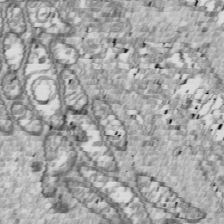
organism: Drosophila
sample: Cell division; meiosis; drosophila spermatocytes